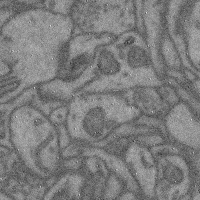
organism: Mouse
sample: Cerebral cortex